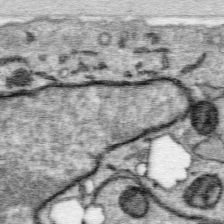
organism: Human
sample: HeLa cells